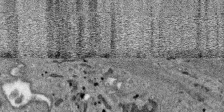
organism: Human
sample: Lung epithelial cells, uninfected (mock) control